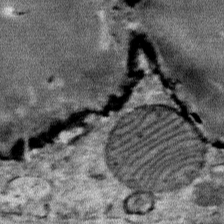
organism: Mouse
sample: Mouse Salivary gland